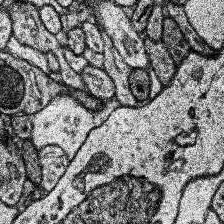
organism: Human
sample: Temporal Lobe